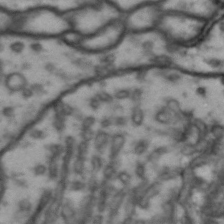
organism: Drosophila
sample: Brain